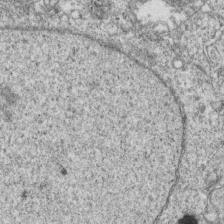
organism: Human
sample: HeLa cell HIV synapse